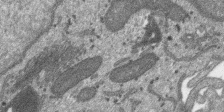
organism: Human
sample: Lung epithelial cells infected with SARS-CoV-2